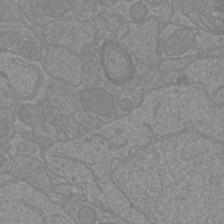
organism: Mouse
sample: Cortical neurons